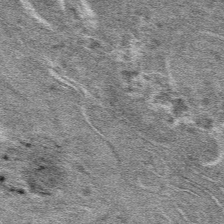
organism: Mouse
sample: Mouse hepatocytes